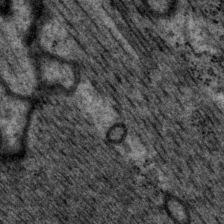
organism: P. pacificus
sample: Pharynx